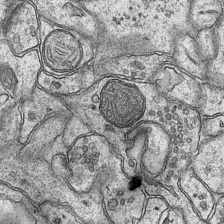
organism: Mouse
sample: CA1 Hippocampus